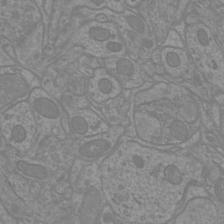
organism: Mouse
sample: Cortical neurons